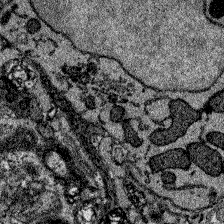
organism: Zebrafish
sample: Larval olfactory bulb